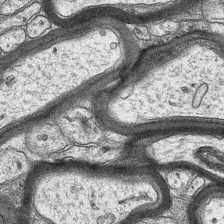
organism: Mouse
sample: CA1 Hippocampus